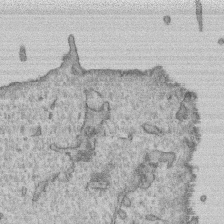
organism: Human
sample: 1205lu cells